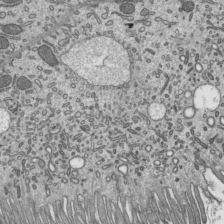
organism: Mouse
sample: Mouse epididymis efferent ductule cilia